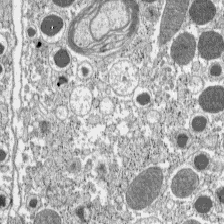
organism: C57BL Mouse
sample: Pancreatic islet